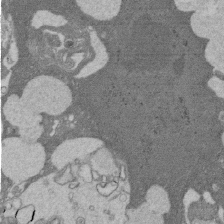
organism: Rat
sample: Salivary granule